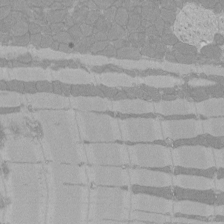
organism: Rat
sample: Left ventricle